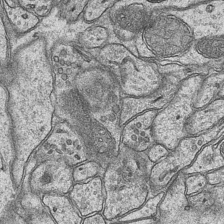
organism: Mouse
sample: CA1 Hippocampus